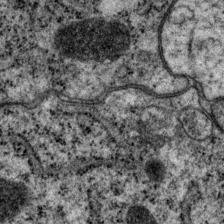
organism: P. pacificus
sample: Pharynx